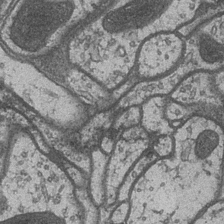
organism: Drosophila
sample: Optic medulla